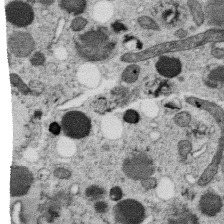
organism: C. elegans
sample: C. elegans oocyte; sperm cells